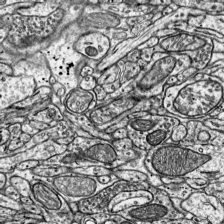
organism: Mouse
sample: Visual Cortex